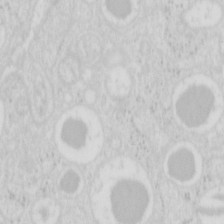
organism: Mouse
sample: Pancreas